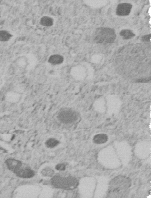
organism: C. elegans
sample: C. elegans embryo early stage